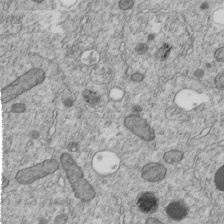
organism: C. elegans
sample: C. elegans embryo early stage